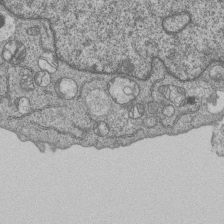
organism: Human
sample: MDA-MB-231 cells